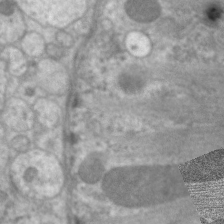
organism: C. elegans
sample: Pharynx